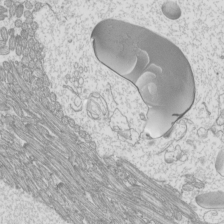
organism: Mouse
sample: Cilia; mouse epididymis